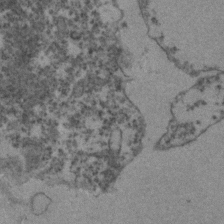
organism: Zebrafish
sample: Zebrafish embryo